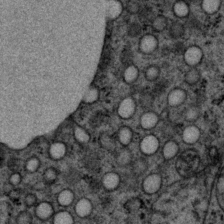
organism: P. pacificus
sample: Pharynx